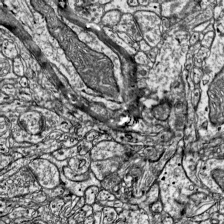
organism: Mouse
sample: Visual Cortex